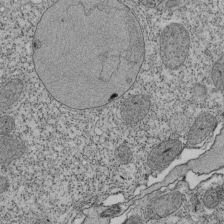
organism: Tetrahymena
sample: Cilia in tetrahymena